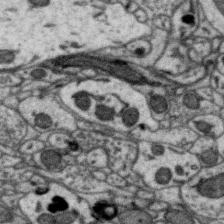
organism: Zebra finch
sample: Brain